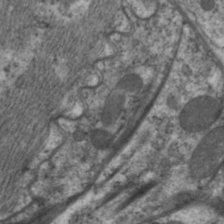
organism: C. elegans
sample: Pharynx